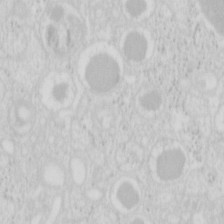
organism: Mouse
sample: Pancreas